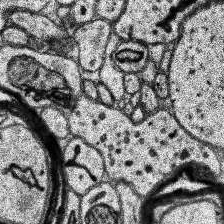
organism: Human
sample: Temporal Lobe